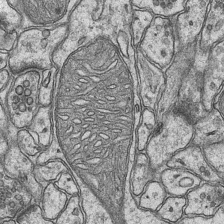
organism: Mouse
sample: CA1 Hippocampus